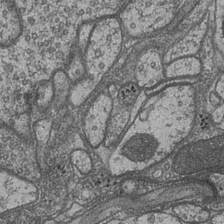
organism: Drosophila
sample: Optic medulla